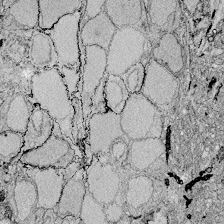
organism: Zebrafish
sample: Whole-Brain